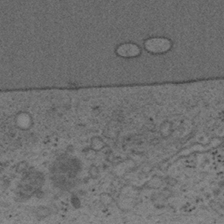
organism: Human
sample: HeLa cells